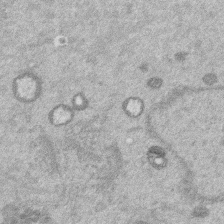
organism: Mouse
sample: Dividing mouse embryo 1 cell stage